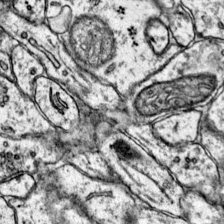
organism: Mouse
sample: Primary visual cortex